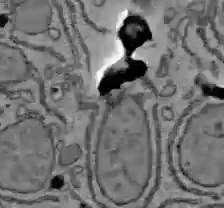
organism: C57BL Mouse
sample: Liver